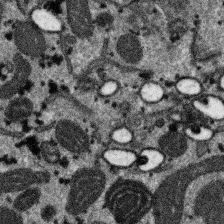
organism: Human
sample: Lung epithelial cells infected with SARS-CoV-2